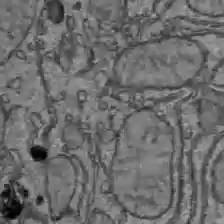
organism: C57BL Mouse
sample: Liver